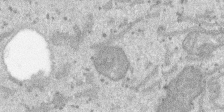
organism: Human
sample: Lung epithelial cells infected with SARS-CoV-2